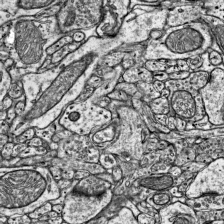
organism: Mouse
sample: Visual Cortex